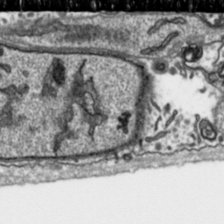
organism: Toxoplasma gondii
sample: Parasites in a vacuole inside a host cell